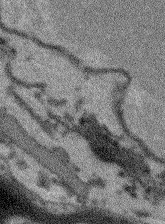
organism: Arabidopsis thaliana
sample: Root tip